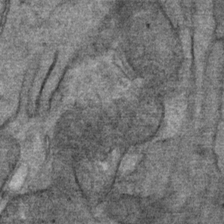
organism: Mouse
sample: Mouse Salivary gland